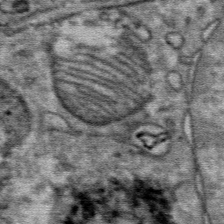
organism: Mouse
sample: Mouse Salivary gland